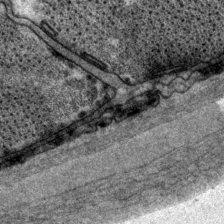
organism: P. pacificus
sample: Pharynx